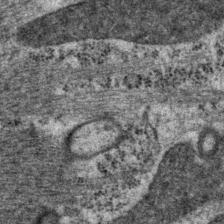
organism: P. pacificus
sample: Pharynx